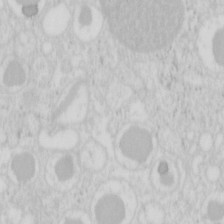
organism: Mouse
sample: Pancreas